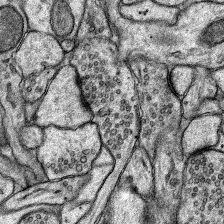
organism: Rat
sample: Hippocampus